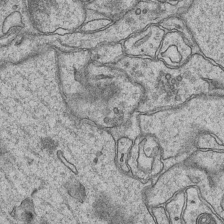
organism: Mouse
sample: CA1 Hippocampus